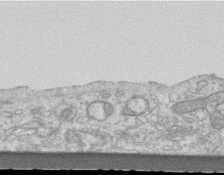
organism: Mouse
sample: Centriole in ependymal cells